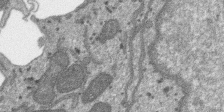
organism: Human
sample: Lung epithelial cells infected with SARS-CoV-2